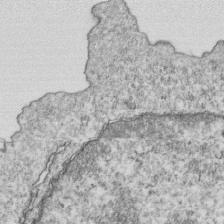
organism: Mouse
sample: Activated OT-1 CD8+ T cells